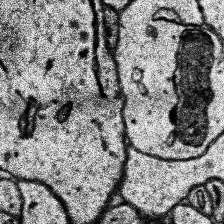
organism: Human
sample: Temporal Lobe